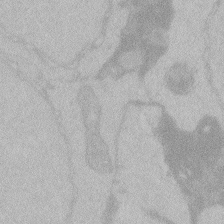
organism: Zebrafish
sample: Macrophage infected with Toxoplasma gondii